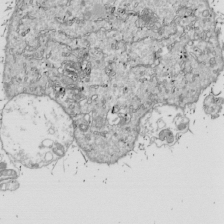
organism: Drosophila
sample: Cell division; meiosis; drosophila spermatocytes